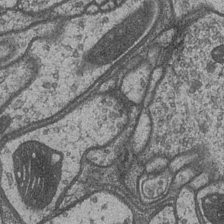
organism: Drosophila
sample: Optic medulla